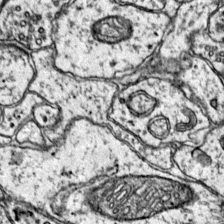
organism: Mouse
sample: Primary visual cortex